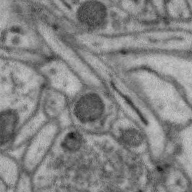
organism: Zebra finch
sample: Brain